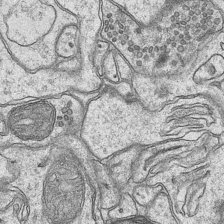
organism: Mouse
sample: CA1 Hippocampus